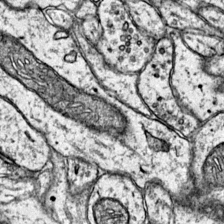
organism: Mouse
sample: Primary visual cortex